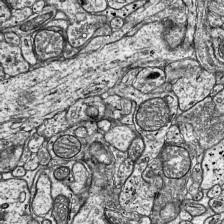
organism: Mouse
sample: Visual Cortex